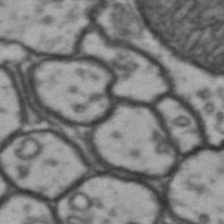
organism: Drosophila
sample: Brain